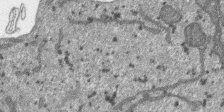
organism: Human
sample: Lung epithelial cells infected with SARS-CoV-2